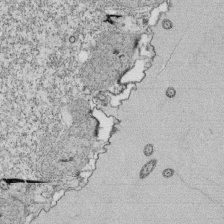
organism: Tetrahymena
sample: Cilia in tetrahymena